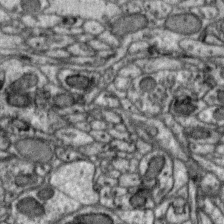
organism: Zebra finch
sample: Brain